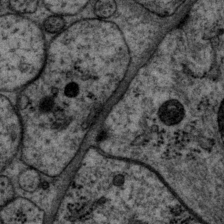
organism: P. pacificus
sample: Pharynx